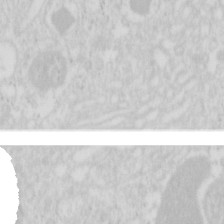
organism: Mouse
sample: Pancreas